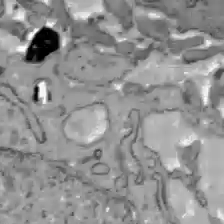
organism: C57BL Mouse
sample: Liver